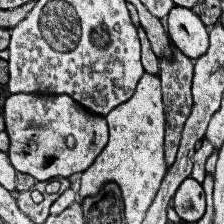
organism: Human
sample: Temporal Lobe